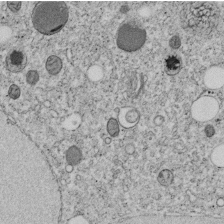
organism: C. elegans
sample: C. elegans embryo early stage